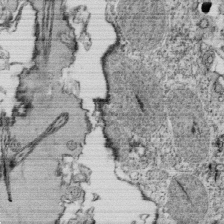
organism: Tetrahymena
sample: Cilia in tetrahymena